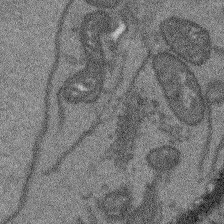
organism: Arabidopsis thaliana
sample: Root tip